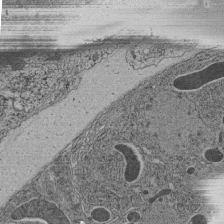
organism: C. elegans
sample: C. elegans pharynx